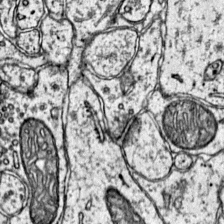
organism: Mouse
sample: Primary visual cortex